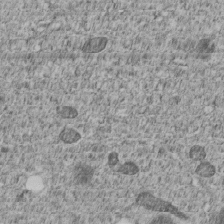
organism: C. elegans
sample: C. elegans embryo early stage